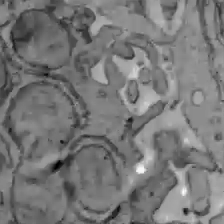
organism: C57BL Mouse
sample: Liver